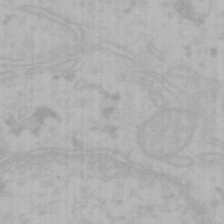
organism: Mouse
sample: Choroid plexus